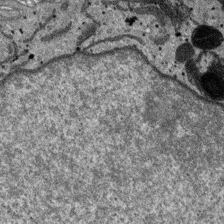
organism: Human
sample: Lung epithelial cells, uninfected (mock) control